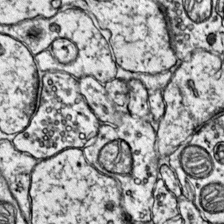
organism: Mouse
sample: Primary visual cortex